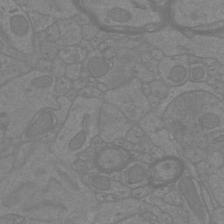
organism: Mouse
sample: Cortical neurons